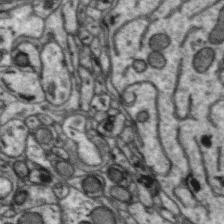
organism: Zebra finch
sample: Brain